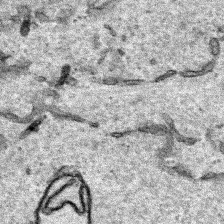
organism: Human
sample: Mitochondria in HCT116 cells